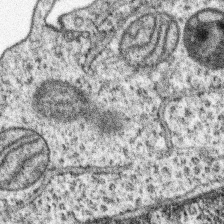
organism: Human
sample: HeLa cells